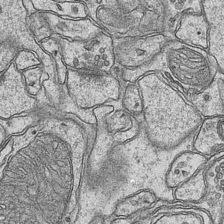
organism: Mouse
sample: CA1 Hippocampus